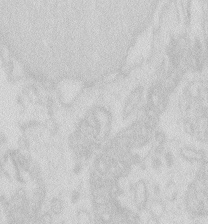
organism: Zebrafish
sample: Macrophage